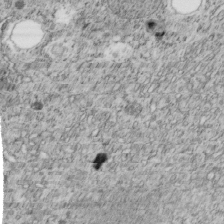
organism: C. elegans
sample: C. elegans embryo early stage